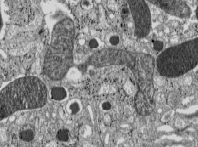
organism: C57BL Mouse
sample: Pancreatic islet